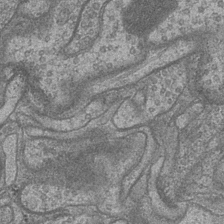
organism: Drosophila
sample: Optic medulla